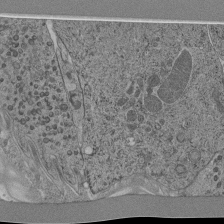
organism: C. elegans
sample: C. elegans pharynx